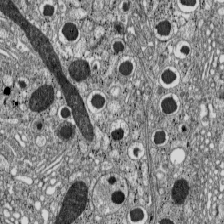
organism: C57BL Mouse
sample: Pancreatic islet